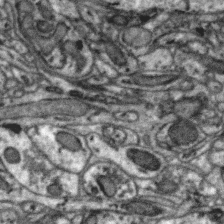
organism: Zebra finch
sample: Brain